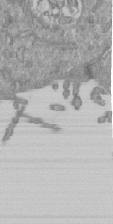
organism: Mouse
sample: ED-1 cell nuclei; centrioles